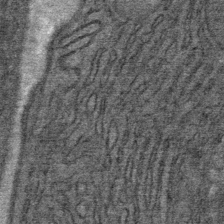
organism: Mouse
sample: Mouse Salivary gland